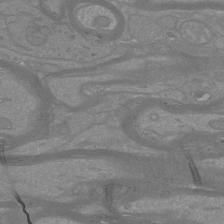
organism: Mouse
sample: Cortical neurons